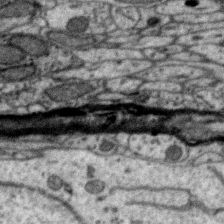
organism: Zebra finch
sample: Brain